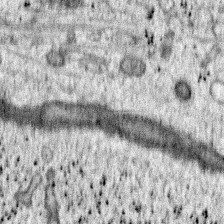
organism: Human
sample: HeLa cells